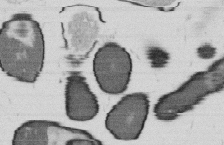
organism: B. subtilis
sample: Bacterial spore